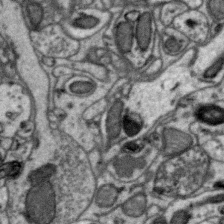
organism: Zebra finch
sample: Brain